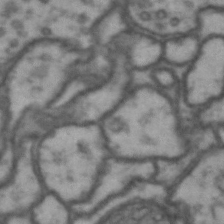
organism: Drosophila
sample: Brain